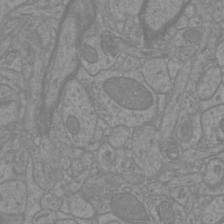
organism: Mouse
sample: Cortical neurons